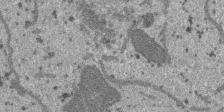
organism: Human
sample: Lung epithelial cells infected with SARS-CoV-2